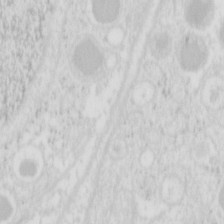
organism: Mouse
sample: Pancreas